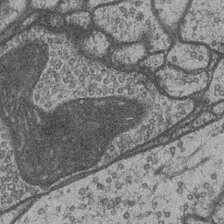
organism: Drosophila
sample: Optic medulla